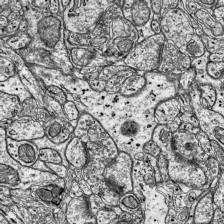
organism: Mouse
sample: Visual Cortex